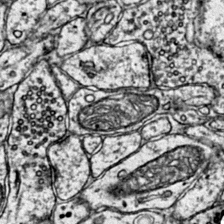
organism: Mouse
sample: Primary visual cortex